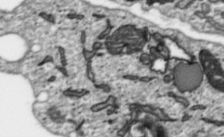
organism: Toxoplasma gondii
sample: Parasites in a vacuole inside a host cell